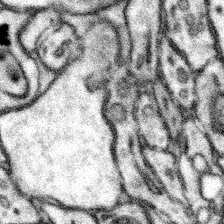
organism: Mouse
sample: Somatosensory cortex neuropil